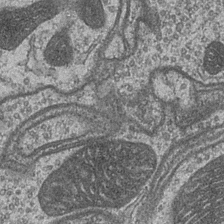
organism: Drosophila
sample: Optic medulla